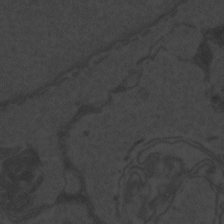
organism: Zebrafish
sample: Macrophage infected with Toxoplasma gondii